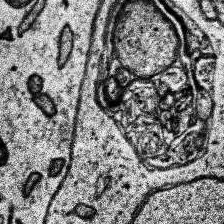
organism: Human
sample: Temporal Lobe